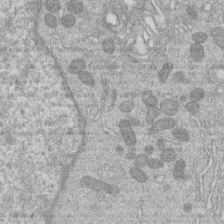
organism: Human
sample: Macrophage cells